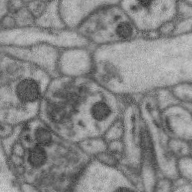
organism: Zebra finch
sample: Brain